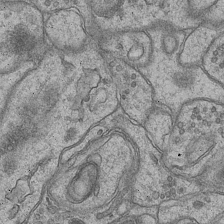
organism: Mouse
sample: CA1 Hippocampus